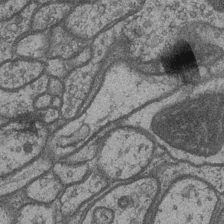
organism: Drosophila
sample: Optic medulla